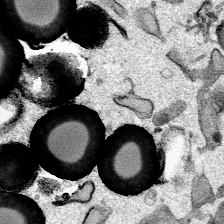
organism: Mouse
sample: Cancer cell death in ED-1 cells